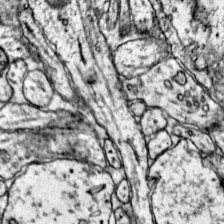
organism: Mouse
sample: Primary visual cortex